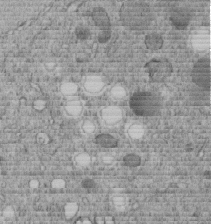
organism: C. elegans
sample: C. elegans embryo early stage